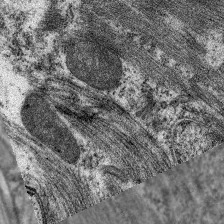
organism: C. elegans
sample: Pharynx